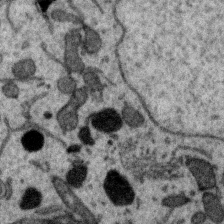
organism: Zebra finch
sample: Brain